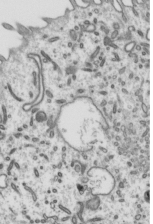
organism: Mouse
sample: Mouse epididymis efferent ductule cilia